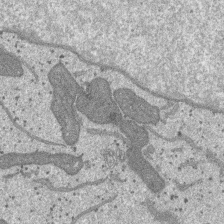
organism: Human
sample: Lung epithelial cells infected with SARS-CoV-2